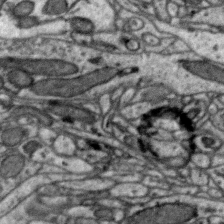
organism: Zebra finch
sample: Brain